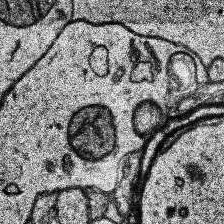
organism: Human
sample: Temporal Lobe